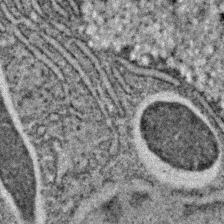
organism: C. elegans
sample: C. elegans embryo